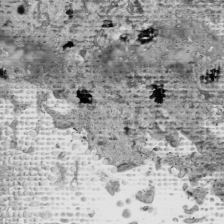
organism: Human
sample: Mitochondria in HCT116 cells